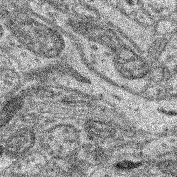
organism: Mouse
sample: Retina